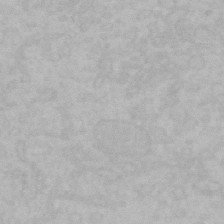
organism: Mouse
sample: Choroid plexus